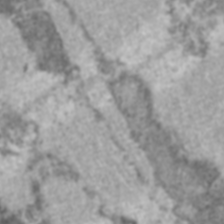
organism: C57BL Mouse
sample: Heart